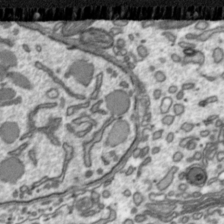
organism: Toxoplasma gondii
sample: Parasites in a vacuole inside a host cell